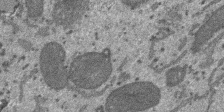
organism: Human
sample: Lung epithelial cells infected with SARS-CoV-2